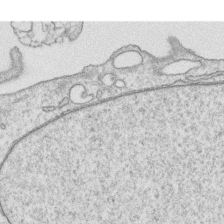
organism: Human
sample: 1205lu cells